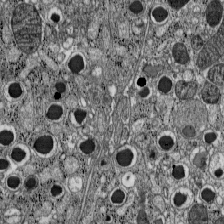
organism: C57BL Mouse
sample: Pancreatic islet